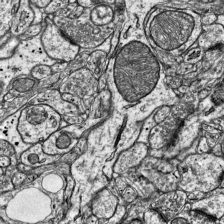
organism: Mouse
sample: Visual Cortex